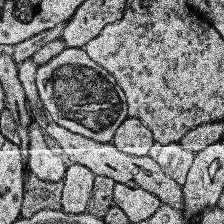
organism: Human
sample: Temporal Lobe